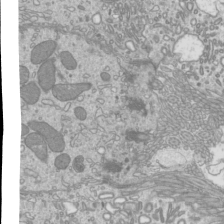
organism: Mouse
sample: Cilia; mouse epididymis